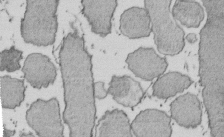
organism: E. coli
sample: Bacterial nucleoid